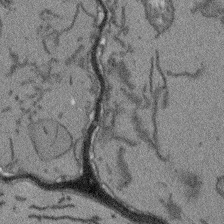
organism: Arabidopsis thaliana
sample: Root tip